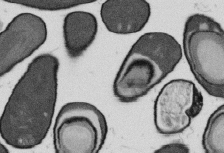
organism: B. subtilis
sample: Bacterial spore